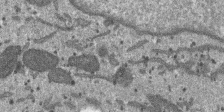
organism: Human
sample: Lung epithelial cells infected with SARS-CoV-2